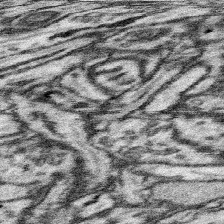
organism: Mouse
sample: Somatosensory cortex neuropil